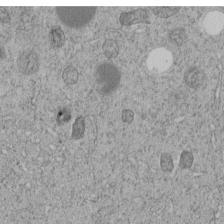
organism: C. elegans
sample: C. elegans embryo early stage